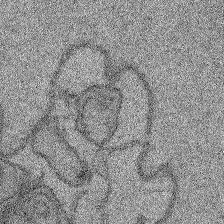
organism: Human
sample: HeLa cells